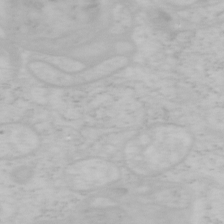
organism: Mouse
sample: OT-I killer T cells with ID8 ovarian cancer cells